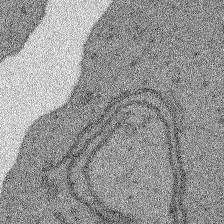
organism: Human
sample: HeLa cells